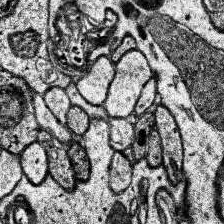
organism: Human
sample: Temporal Lobe